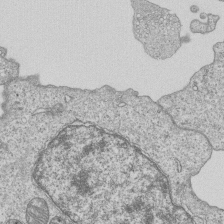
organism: Human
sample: MDA-MB-231 cells